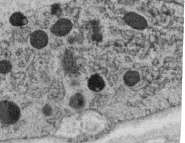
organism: C. elegans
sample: C. elegans oocyte; sperm cells